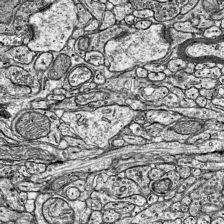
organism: Mouse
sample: Visual Cortex